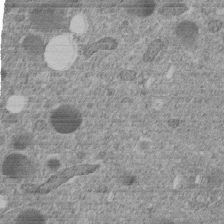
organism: C. elegans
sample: C. elegans embryo early stage